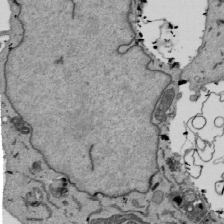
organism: Mouse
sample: ED-1 cell nuclei; centrioles